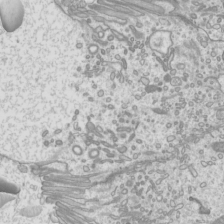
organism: Mouse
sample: Cilia; mouse epididymis